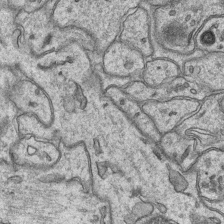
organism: Mouse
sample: CA1 Hippocampus